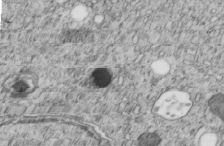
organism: C. elegans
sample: C. elegans embryo early stage